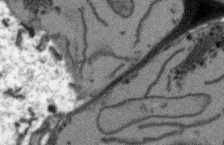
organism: Arabidopsis thaliana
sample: Root tip